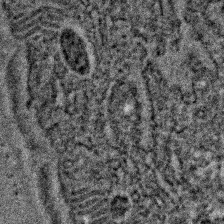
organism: C. elegans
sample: C. elegans embryo